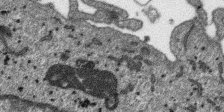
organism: Human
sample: Lung epithelial cells infected with SARS-CoV-2